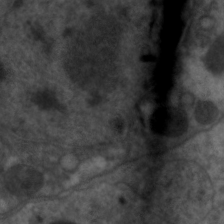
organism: C. elegans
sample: Pharynx